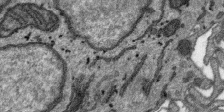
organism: Human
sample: Lung epithelial cells, uninfected (mock) control